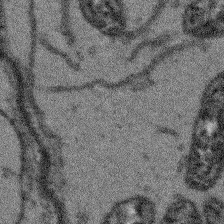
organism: Arabidopsis thaliana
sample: Root tip